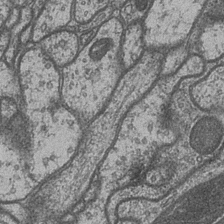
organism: Drosophila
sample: Optic medulla